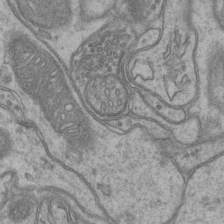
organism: Mouse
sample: CA1 Hippocampus